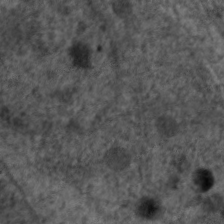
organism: C. elegans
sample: Pharynx